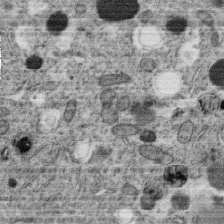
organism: C. elegans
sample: C. elegans oocyte; sperm cells